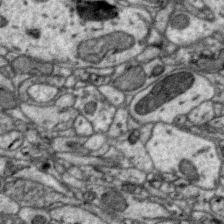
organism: Zebra finch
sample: Brain